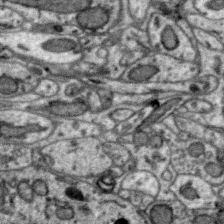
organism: Zebra finch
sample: Brain